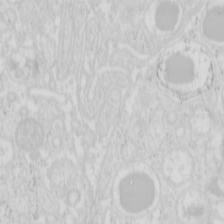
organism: Mouse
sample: Pancreas